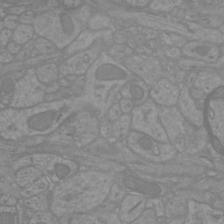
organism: Mouse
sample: Cortical neurons